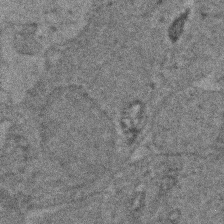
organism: Zebrafish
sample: Zebrafish embryo